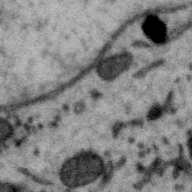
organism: Zebra finch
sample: Brain